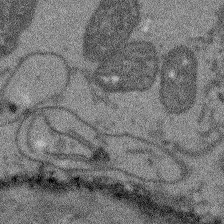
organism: Arabidopsis thaliana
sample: Root tip